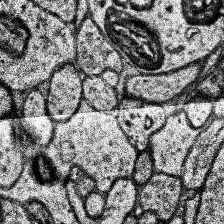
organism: Human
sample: Temporal Lobe